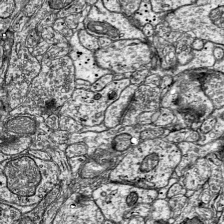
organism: Mouse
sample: Visual Cortex